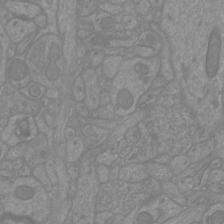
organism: Mouse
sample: Cortical neurons